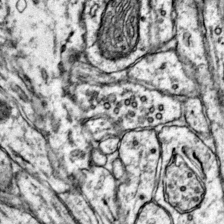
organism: Mouse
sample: Primary visual cortex